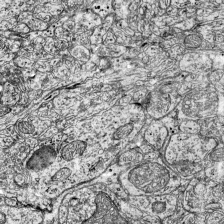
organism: Mouse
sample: Visual Cortex